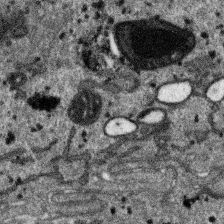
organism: Human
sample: Lung epithelial cells infected with SARS-CoV-2